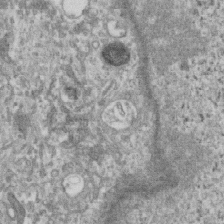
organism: Human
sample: Centriole in RPE cells